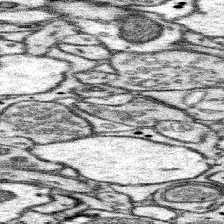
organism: Mouse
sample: Somatosensory cortex neuropil